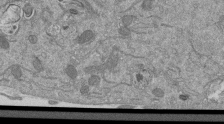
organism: Mouse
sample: ED-1 cell nuclei; centrioles